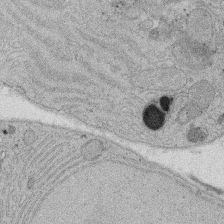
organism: Rat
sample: Salivary granule